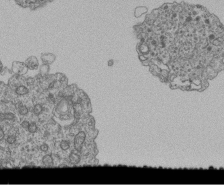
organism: Human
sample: Retinal organoid Rod and Cone cells